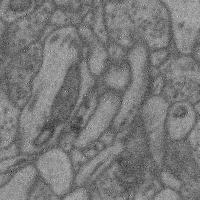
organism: Mouse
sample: Cerebral cortex